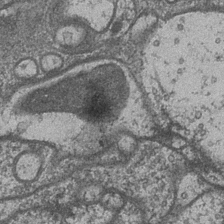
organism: Drosophila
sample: Optic medulla